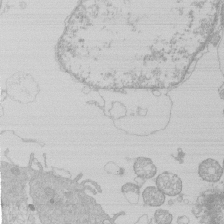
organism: Human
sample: Macrophage cells